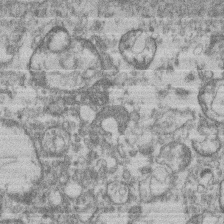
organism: Mouse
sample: T cell stromal cell synapse